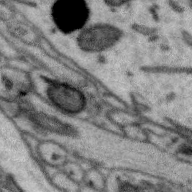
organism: Zebra finch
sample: Brain